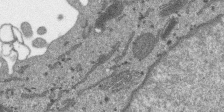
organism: Human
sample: Lung epithelial cells infected with SARS-CoV-2